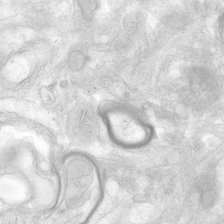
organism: Human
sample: Neocortex